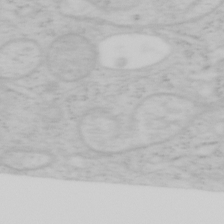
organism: Mouse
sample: OT-I killer T cells with ID8 ovarian cancer cells